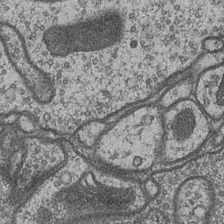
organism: Drosophila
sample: Optic medulla